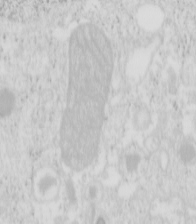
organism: Mouse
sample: Pancreas